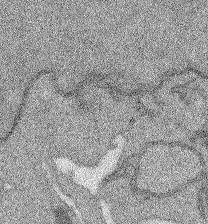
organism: Human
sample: HeLa cells